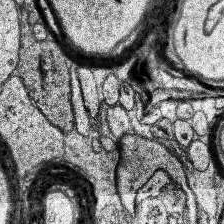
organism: Human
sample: Temporal Lobe